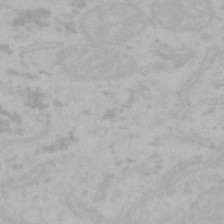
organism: Mouse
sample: Choroid plexus